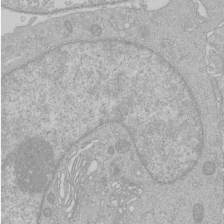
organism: Human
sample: Macrophage cells